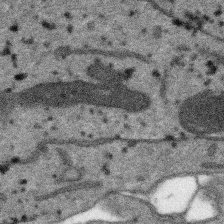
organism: Human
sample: Lung epithelial cells infected with SARS-CoV-2